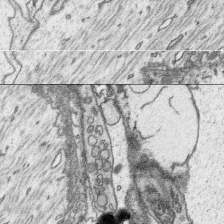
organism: Platynereis dumerilii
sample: Parapodia